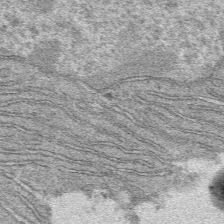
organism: Mouse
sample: Mouse hepatocytes